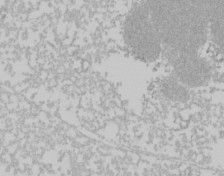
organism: Mouse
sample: Cancer cell death in ED-1 cells